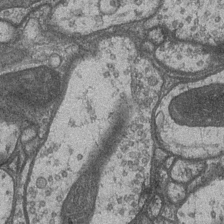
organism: Drosophila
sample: Optic medulla